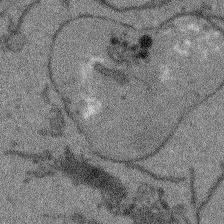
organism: Arabidopsis thaliana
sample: Root tip